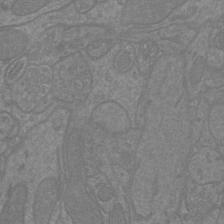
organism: Mouse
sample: Cortical neurons